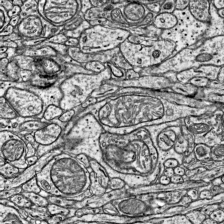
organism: Mouse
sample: Visual Cortex